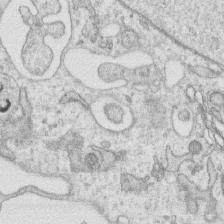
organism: Human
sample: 1205lu cells